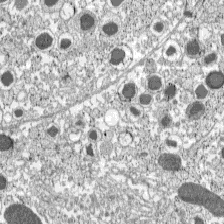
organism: C57BL Mouse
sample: Pancreatic islet